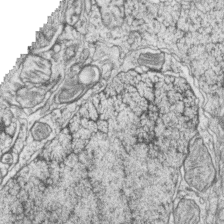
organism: Zebrafish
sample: synaptic ribbons in rod cells and cone cells